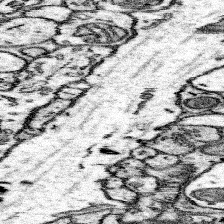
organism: Mouse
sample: Somatosensory cortex neuropil